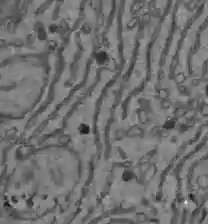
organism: C57BL Mouse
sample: Liver